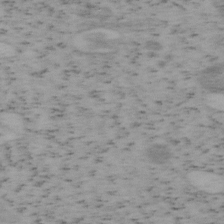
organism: Mouse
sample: OT-I killer T cells with ID8 ovarian cancer cells